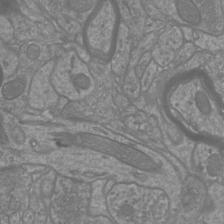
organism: Mouse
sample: Cortical neurons